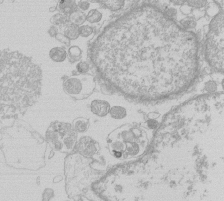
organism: Human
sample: Macrophage cells